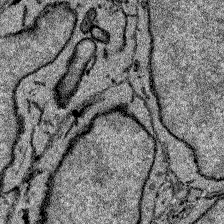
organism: Zebrafish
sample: Larval olfactory bulb